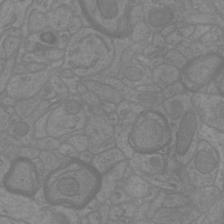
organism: Mouse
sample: Cortical neurons